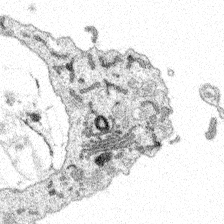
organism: Spongilla lacustris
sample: Multiple